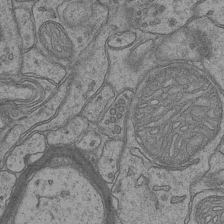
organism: Mouse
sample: CA1 Hippocampus